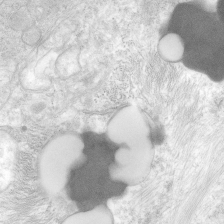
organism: Human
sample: Neocortex